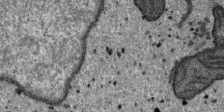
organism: Human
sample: Lung epithelial cells, uninfected (mock) control